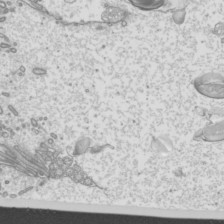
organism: Mouse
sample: Cilia; mouse epididymis